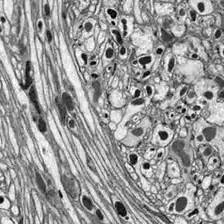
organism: Drosophila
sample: Optic lobe